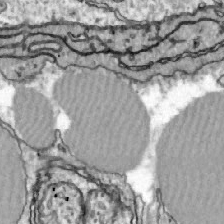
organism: Zebrafish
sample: Actinotrichia fibers